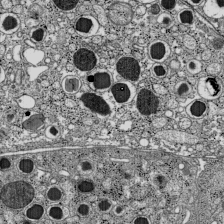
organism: C57BL Mouse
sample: Pancreatic islet